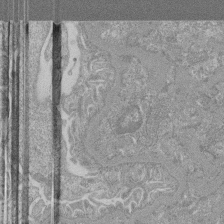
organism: Mouse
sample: Glomerulus